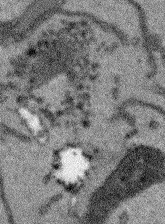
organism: Arabidopsis thaliana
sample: Root tip